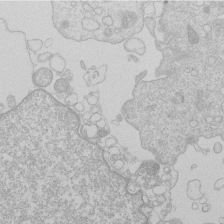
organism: Human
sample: Macrophage cells